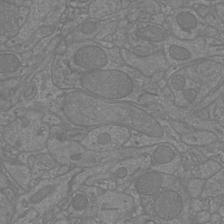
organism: Mouse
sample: Cortical neurons